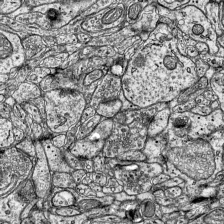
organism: Mouse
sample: Visual Cortex